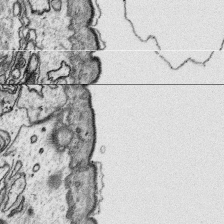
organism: Platynereis dumerilii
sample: Parapodia